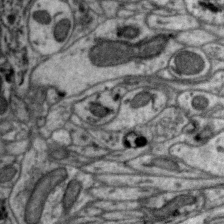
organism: Zebra finch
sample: Brain